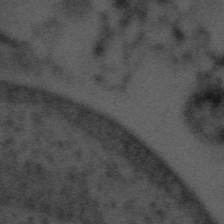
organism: Tuwongella immobilis